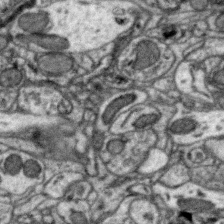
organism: Zebra finch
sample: Brain